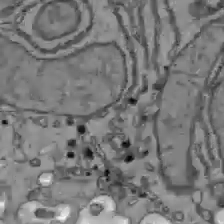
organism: C57BL Mouse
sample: Liver